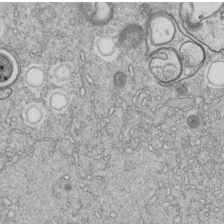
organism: C. elegans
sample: C. elegans embryo early stage